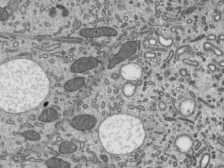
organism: Mouse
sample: Mouse epididymis efferent ductule cilia